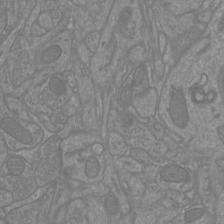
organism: Mouse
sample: Cortical neurons